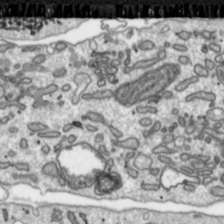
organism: Toxoplasma gondii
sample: Parasites in a vacuole inside a host cell